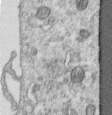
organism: Human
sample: Centriole in RPE cells